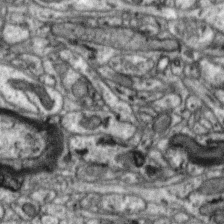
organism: Zebra finch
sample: Brain